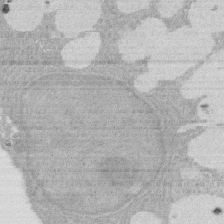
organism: Rat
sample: Salivary granule